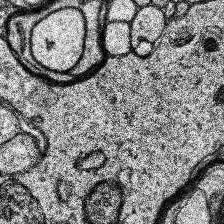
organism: Human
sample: Temporal Lobe